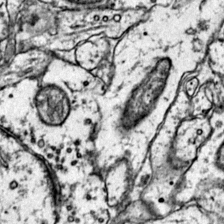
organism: Mouse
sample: Primary visual cortex